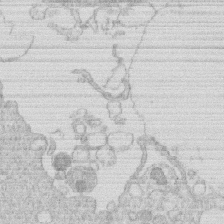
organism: Human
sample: Macrophage cells